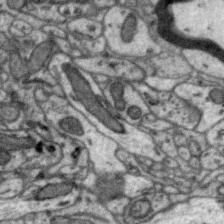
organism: Zebra finch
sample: Brain